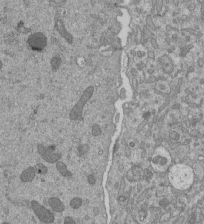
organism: Mouse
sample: ED-1 cell nuclei; centrioles